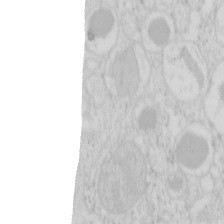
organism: Mouse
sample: Pancreas